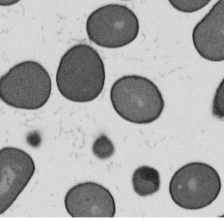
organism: B. subtilis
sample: Bacterial spore